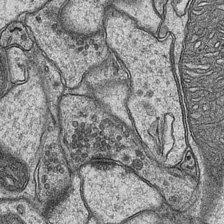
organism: Mouse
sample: CA1 Hippocampus